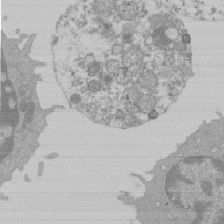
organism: Mouse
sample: Activated Pmel transgenic CD8+ T Cells